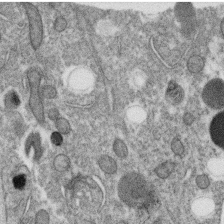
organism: C. elegans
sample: C. elegans oocyte; sperm cells